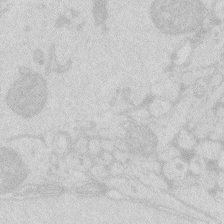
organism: Zebrafish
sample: Macrophage